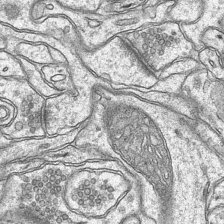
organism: Mouse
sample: CA1 Hippocampus